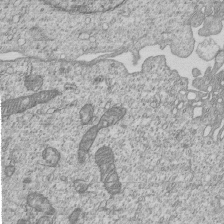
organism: Human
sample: MDA-MB-231 cells